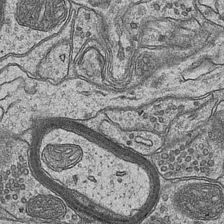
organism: Mouse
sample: CA1 Hippocampus